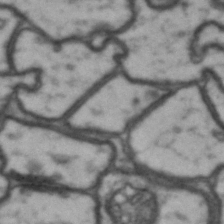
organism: Drosophila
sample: Brain